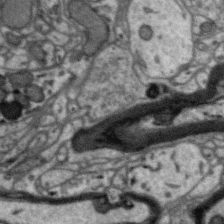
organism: Zebra finch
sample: Brain